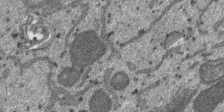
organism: Human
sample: Lung epithelial cells infected with SARS-CoV-2